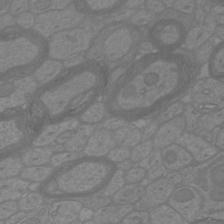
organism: Mouse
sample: Cortical neurons